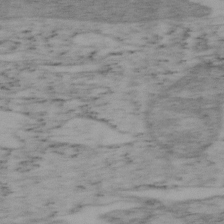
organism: Mouse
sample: OT-I killer T cells with ID8 ovarian cancer cells